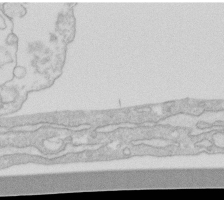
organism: Human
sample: Fibroblast cells